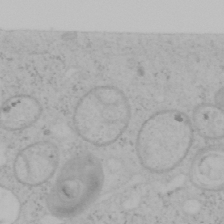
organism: Mouse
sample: OT-I killer T cells with ID8 ovarian cancer cells